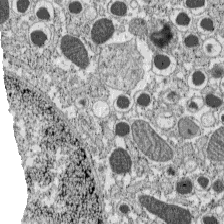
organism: C57BL Mouse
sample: Pancreatic islet